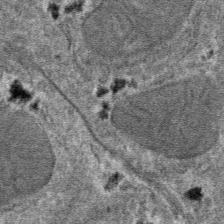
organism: Mouse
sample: Mouse hepatocytes